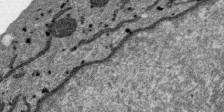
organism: Human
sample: Lung epithelial cells, uninfected (mock) control